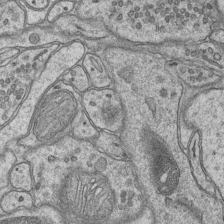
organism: Mouse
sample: CA1 Hippocampus